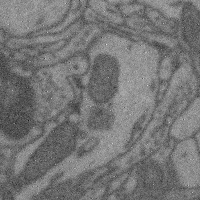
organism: Mouse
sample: Cerebral cortex